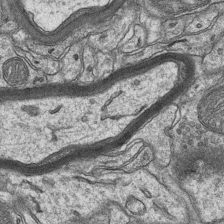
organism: Mouse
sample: CA1 Hippocampus